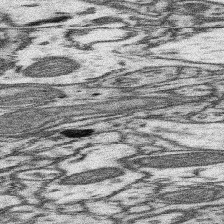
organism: Mouse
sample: Somatosensory cortex neuropil